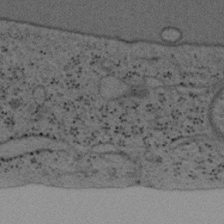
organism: Human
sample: HeLa cells